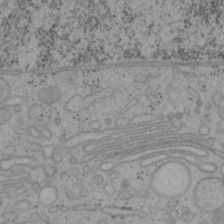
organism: Human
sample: HeLa cells